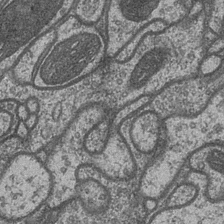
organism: Drosophila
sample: Optic medulla